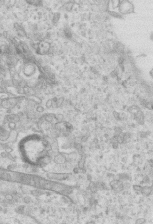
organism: Mouse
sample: Centriole in ependymal cells